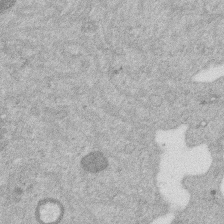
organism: Mouse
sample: Dividing mouse embryo 1 cell stage